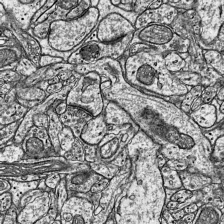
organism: Mouse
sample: Visual Cortex